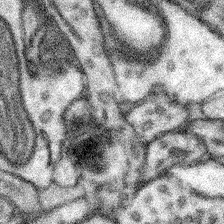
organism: Mouse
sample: Somatosensory cortex neuropil